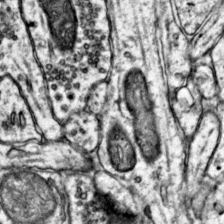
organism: Mouse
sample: Primary visual cortex